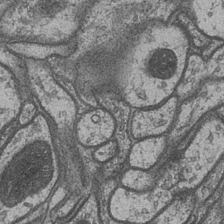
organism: Drosophila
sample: Optic medulla